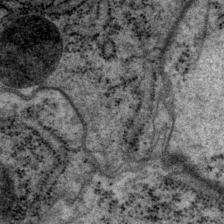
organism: P. pacificus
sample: Pharynx